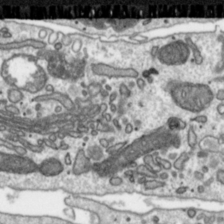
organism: Toxoplasma gondii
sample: Parasites in a vacuole inside a host cell